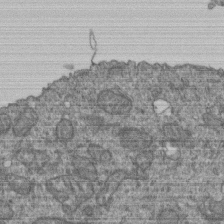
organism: Human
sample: Retinal organoid Rod and Cone cells